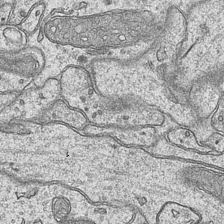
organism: Mouse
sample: CA1 Hippocampus